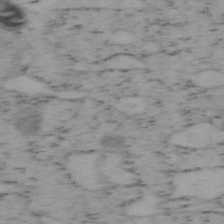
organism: Mouse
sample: OT-I killer T cells with ID8 ovarian cancer cells